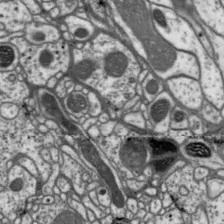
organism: Drosophila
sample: Protocerebral bridge